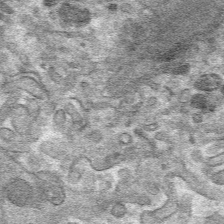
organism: Mouse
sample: Mouse hepatocytes